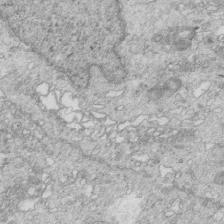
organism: Mouse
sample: Multiciliated cells